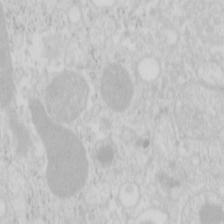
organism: Mouse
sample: Pancreas